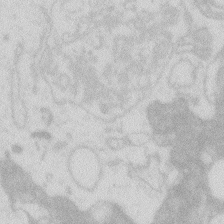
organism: Zebrafish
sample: Macrophage